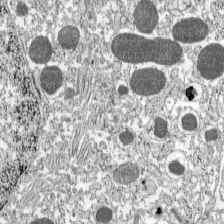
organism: C57BL Mouse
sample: Pancreatic islet